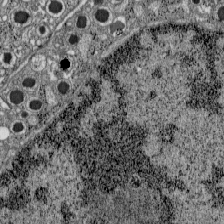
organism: C57BL Mouse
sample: Pancreatic islet